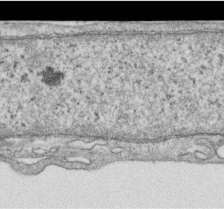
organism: Human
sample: Centriole in RPE cells